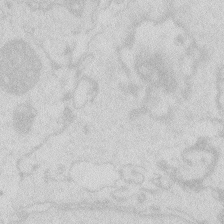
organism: Zebrafish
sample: Macrophage